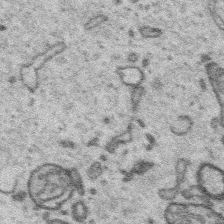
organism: Platynereis dumerilii